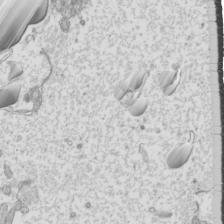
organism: Mouse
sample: Cilia; mouse epididymis